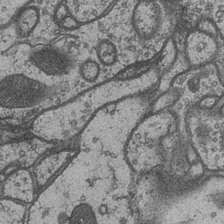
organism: Drosophila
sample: Optic medulla